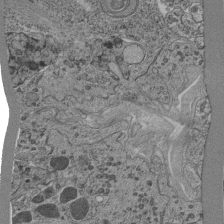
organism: C. elegans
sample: C. elegans pharynx